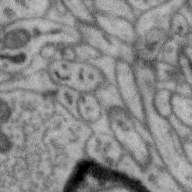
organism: Zebra finch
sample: Brain